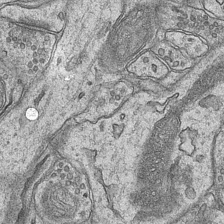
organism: Mouse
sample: CA1 Hippocampus